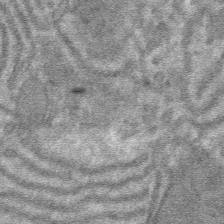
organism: Mouse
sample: Mouse hepatocytes